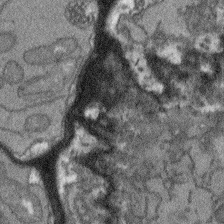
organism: Arabidopsis thaliana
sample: Root tip